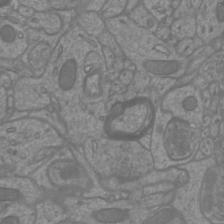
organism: Mouse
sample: Cortical neurons